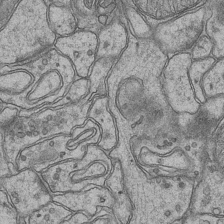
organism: Mouse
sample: CA1 Hippocampus